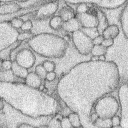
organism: Rabbit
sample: Retina